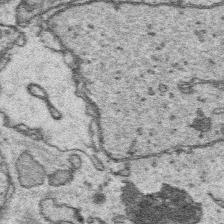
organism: Platynereis dumerilii